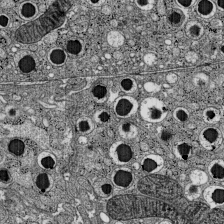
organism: C57BL Mouse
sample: Pancreatic islet